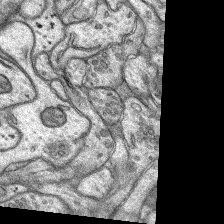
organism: Rat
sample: Hippocampus